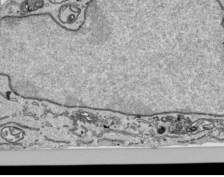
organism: Human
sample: Mitochondria in HCT116 cells